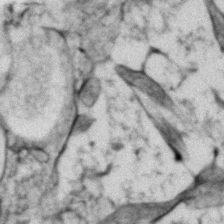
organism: Zebrafish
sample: Zebrafish embryo